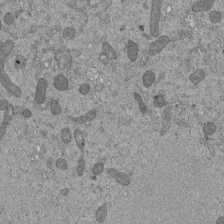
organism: Mouse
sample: ED-1 cell nuclei; centrioles